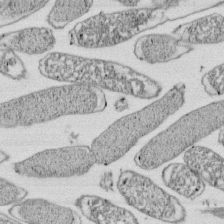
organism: E. coli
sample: Bacterial nucleoid